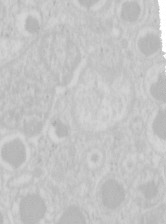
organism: Mouse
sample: Pancreas